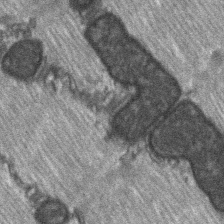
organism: C57BL Mouse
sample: Soleus